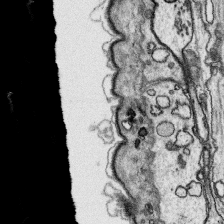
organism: Platynereis dumerilii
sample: Parapodia